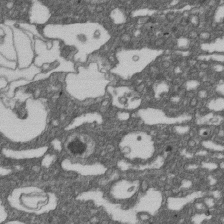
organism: Drosophila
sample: Nephrocyte